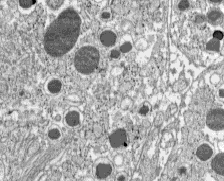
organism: C57BL Mouse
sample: Pancreatic islet